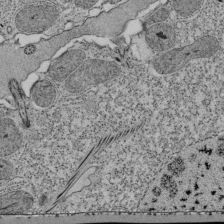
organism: Tetrahymena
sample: Cilia in tetrahymena